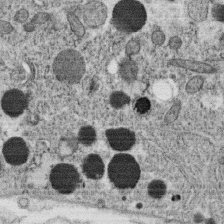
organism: C. elegans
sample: C. elegans oocyte; sperm cells